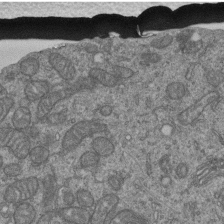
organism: Human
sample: Retinal organoid Rod and Cone cells